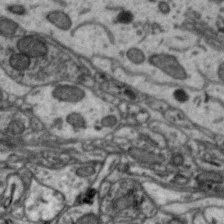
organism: Zebra finch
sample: Brain